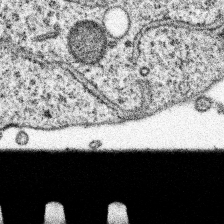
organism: Human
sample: HeLa cells